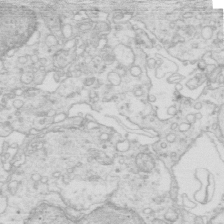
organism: Mouse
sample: Multiciliated cells